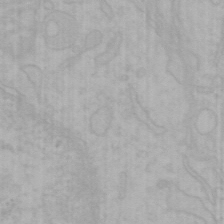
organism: Mouse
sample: Choroid plexus